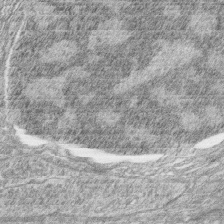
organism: Zebrafish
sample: synaptic ribbons in rod cells and cone cells